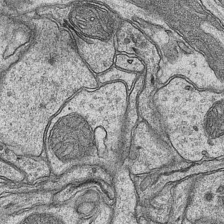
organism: Mouse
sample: CA1 Hippocampus